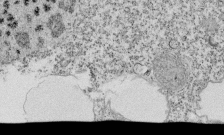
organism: Tetrahymena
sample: Cilia in tetrahymena